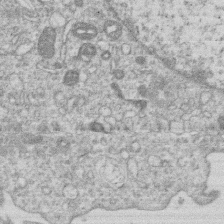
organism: Human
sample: Macrophage cells